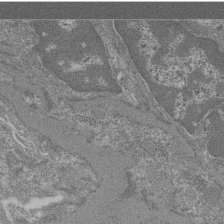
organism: Mouse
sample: Glomerulus